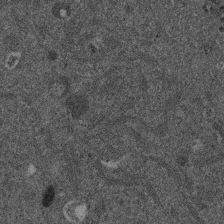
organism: Mouse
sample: Dividing mouse embryo 1 cell stage